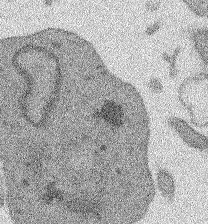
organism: Human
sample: HeLa cells